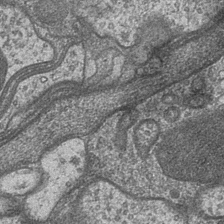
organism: Drosophila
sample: Optic medulla